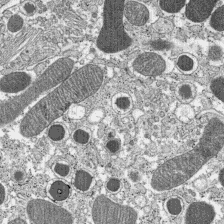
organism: C57BL Mouse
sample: Pancreatic islet